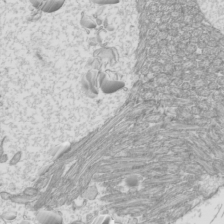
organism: Mouse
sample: Cilia; mouse epididymis